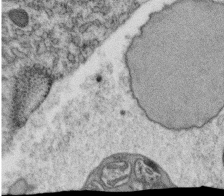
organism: C. elegans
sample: C. elegans oocyte; sperm cells